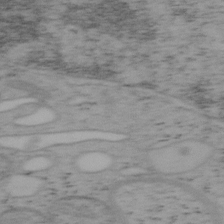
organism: Mouse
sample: OT-I killer T cells with ID8 ovarian cancer cells